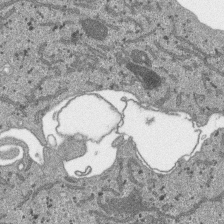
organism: Human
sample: Lung epithelial cells infected with SARS-CoV-2